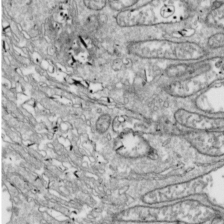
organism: Drosophila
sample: Cell division; meiosis; drosophila spermatocytes